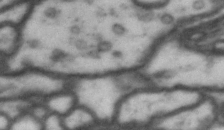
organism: Drosophila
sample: Brain